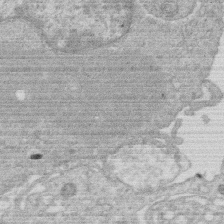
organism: Human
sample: Macrophage cells